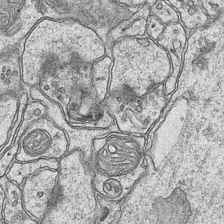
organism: Mouse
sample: CA1 Hippocampus